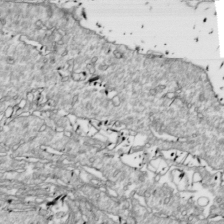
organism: Drosophila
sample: Cell division; meiosis; drosophila spermatocytes